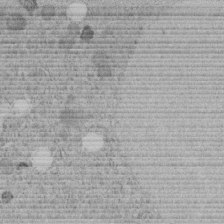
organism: C. elegans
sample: C. elegans embryo early stage